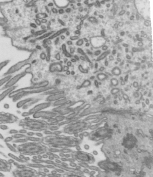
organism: Mouse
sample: Mouse epididymis efferent ductule cilia